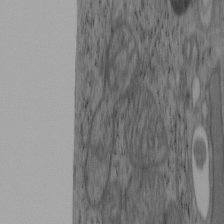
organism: Human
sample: HeLa cells